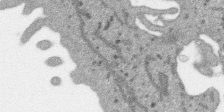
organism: Human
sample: Lung epithelial cells infected with SARS-CoV-2